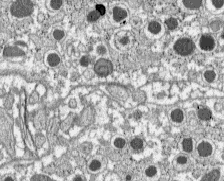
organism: C57BL Mouse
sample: Pancreatic islet